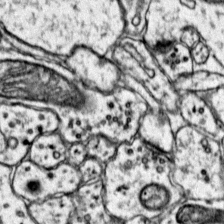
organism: Mouse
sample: Primary visual cortex